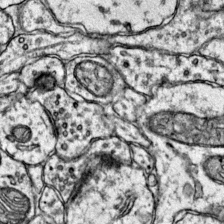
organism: Mouse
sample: Primary visual cortex